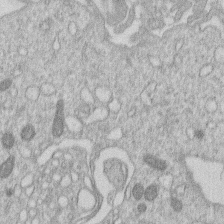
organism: Human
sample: Macrophage cells